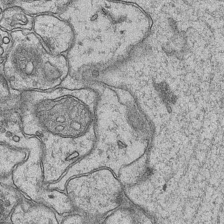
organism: Mouse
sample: CA1 Hippocampus